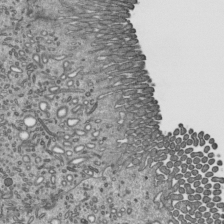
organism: Mouse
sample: Mouse epididymis efferent ductule cilia